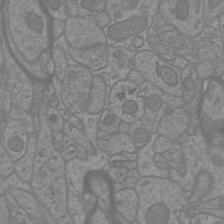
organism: Mouse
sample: Cortical neurons